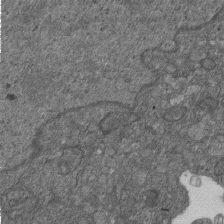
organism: Drosophila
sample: Nephrocyte